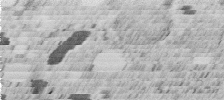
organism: C. elegans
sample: C. elegans embryo early stage